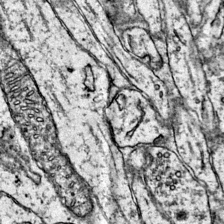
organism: Mouse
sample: Primary visual cortex